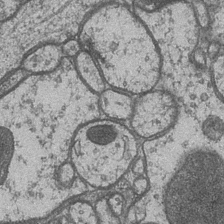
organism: Drosophila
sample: Optic medulla